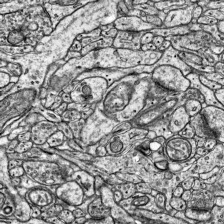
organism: Mouse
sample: Visual Cortex